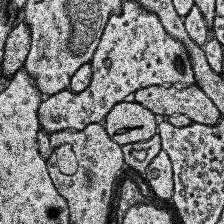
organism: Human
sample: Temporal Lobe